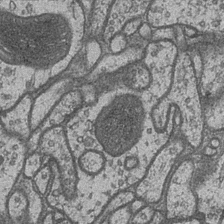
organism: Drosophila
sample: Optic medulla